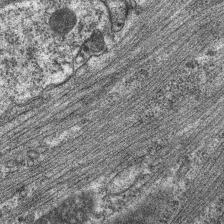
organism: C. elegans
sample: Pharynx